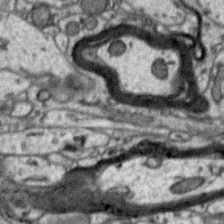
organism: Zebra finch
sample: Brain